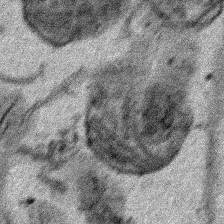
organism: Human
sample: Mitochondria in HCT116 cells